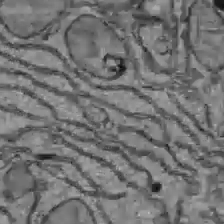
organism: C57BL Mouse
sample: Liver